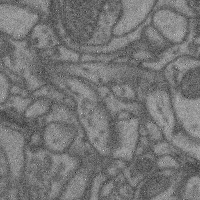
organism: Mouse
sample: Cerebral cortex